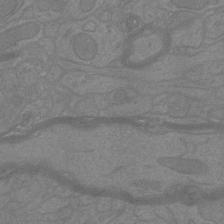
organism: Mouse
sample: Cortical neurons